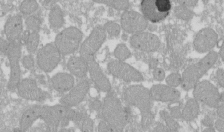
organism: Xenopus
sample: Cilia; centrioles in frog embryo cells